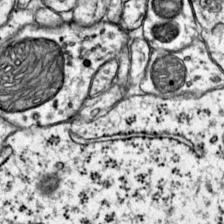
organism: Mouse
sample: Primary visual cortex